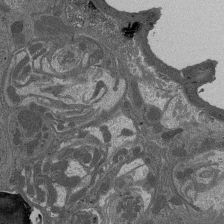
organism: Drosophila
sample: Antenna